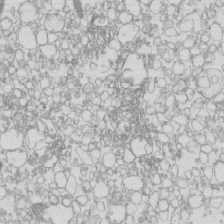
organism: Mouse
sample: Macrophages